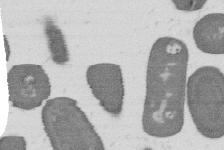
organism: B. subtilis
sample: Bacterial spore